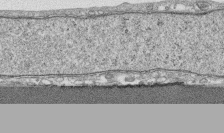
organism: Human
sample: CRL-1474